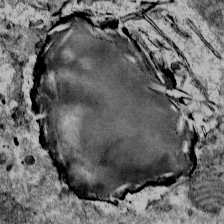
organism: Mouse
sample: Mouse Salivary gland